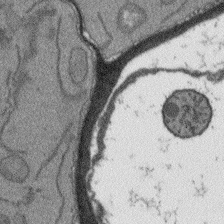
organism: Arabidopsis thaliana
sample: Root tip